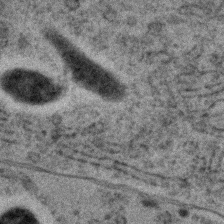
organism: C. elegans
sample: C. elegans embryo